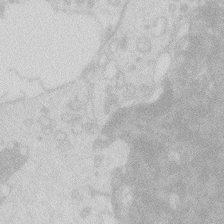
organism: Zebrafish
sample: Macrophage